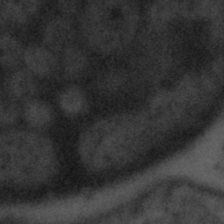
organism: Tuwongella immobilis